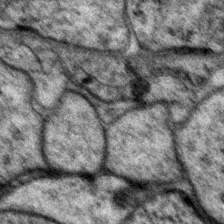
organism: P. pacificus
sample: Pharynx